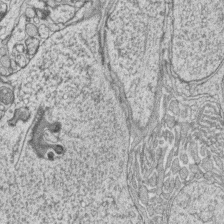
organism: Zebrafish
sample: synaptic ribbons in rod cells and cone cells